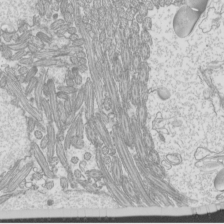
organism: Mouse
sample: Cilia; mouse epididymis